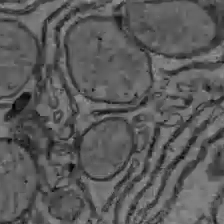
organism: C57BL Mouse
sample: Liver